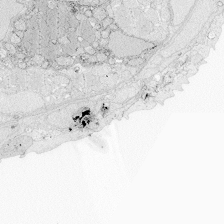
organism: Zebrafish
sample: Whole-Brain